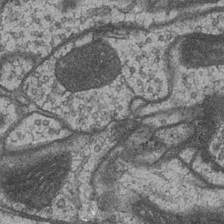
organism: Drosophila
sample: Optic medulla